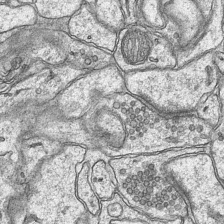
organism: Mouse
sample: CA1 Hippocampus